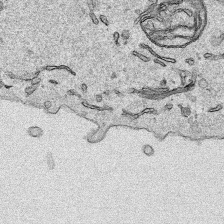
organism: Human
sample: Mitochondria in HCT116 cells